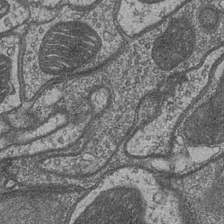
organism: Drosophila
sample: Optic medulla